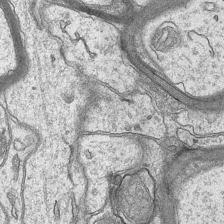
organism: Mouse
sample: CA1 Hippocampus